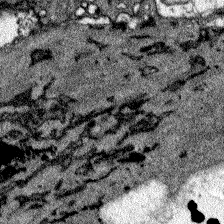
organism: Zebrafish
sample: Larval olfactory bulb